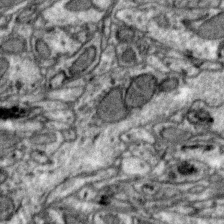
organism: Zebra finch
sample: Brain